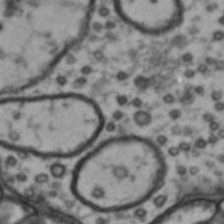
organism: Drosophila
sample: Brain